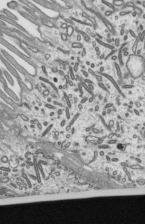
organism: Mouse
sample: Mouse epididymis efferent ductule cilia